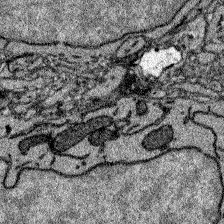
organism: Zebrafish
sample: Larval olfactory bulb